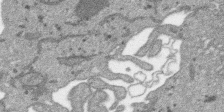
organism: Human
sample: Lung epithelial cells infected with SARS-CoV-2